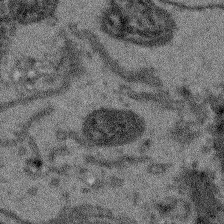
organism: Arabidopsis thaliana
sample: Root tip